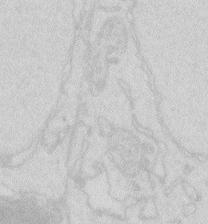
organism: Zebrafish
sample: Macrophage